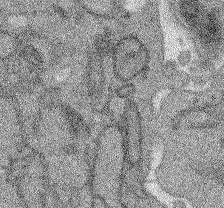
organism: Human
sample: HeLa cells